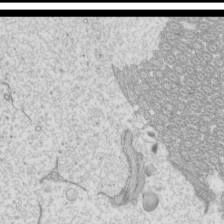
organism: Mouse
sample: Cilia; mouse epididymis